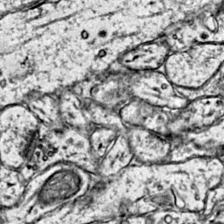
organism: Mouse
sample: Primary visual cortex